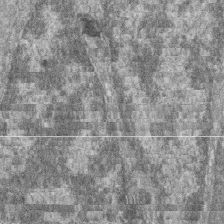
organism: Zebrafish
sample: Cilia; retinal pigment epithelium